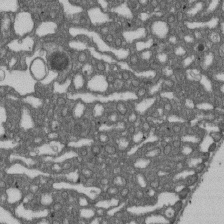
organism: Drosophila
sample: Nephrocyte